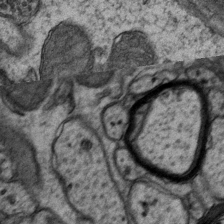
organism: Mouse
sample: CA1 Hippocampus